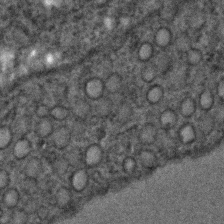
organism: C. elegans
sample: C. elegans embryo